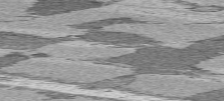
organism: C57BL Mouse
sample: Heart